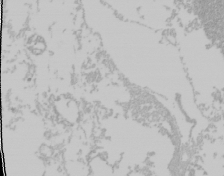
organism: Mouse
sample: Cancer cell death in ED-1 cells